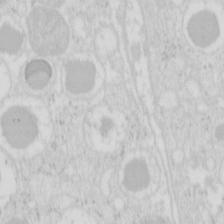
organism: Mouse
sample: Pancreas